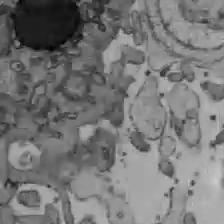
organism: C57BL Mouse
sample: Liver